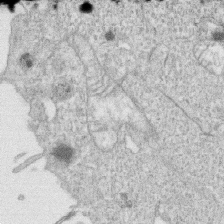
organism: Human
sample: HeLa cell HIV synapse